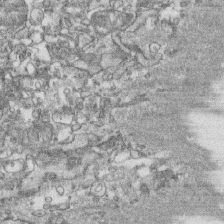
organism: Human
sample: CRL-1474